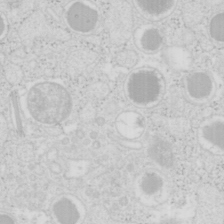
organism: Mouse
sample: Pancreas